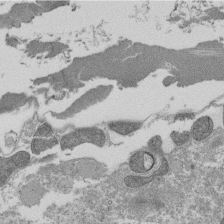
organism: Tetrahymena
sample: Cilia in tetrahymena